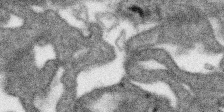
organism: Human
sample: Lung epithelial cells infected with SARS-CoV-2